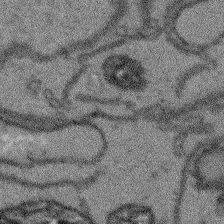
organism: Arabidopsis thaliana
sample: Root tip